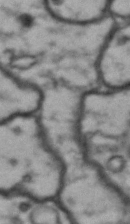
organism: Drosophila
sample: Brain